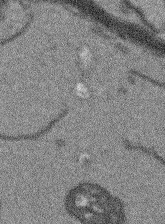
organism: Arabidopsis thaliana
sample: Root tip